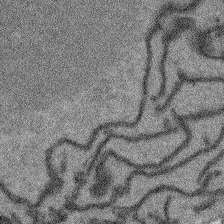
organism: Arabidopsis thaliana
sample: Root tip